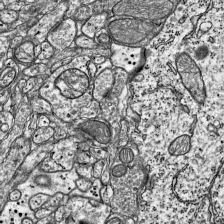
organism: Mouse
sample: Visual Cortex